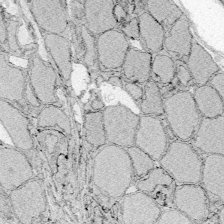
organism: Zebrafish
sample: Whole-Brain